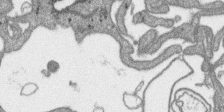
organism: Human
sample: Lung epithelial cells infected with SARS-CoV-2